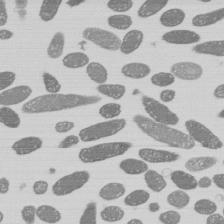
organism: E. coli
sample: Bacterial nucleoid